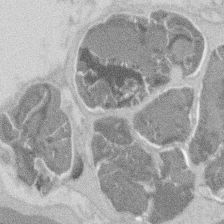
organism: Mouse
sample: T cell stromal cell synapse